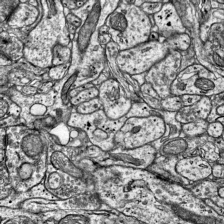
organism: Mouse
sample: Visual Cortex